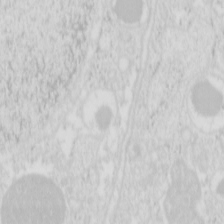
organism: Mouse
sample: Pancreas